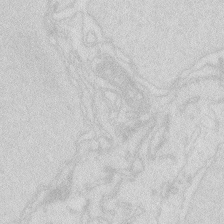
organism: Zebrafish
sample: Macrophage